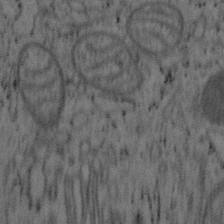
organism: Human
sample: HeLa cells